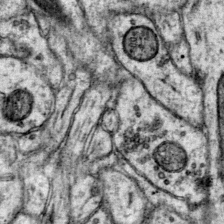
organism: Mouse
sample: Primary visual cortex